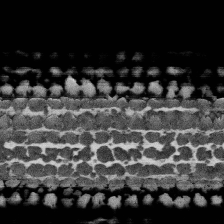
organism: Human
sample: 1205lu cells